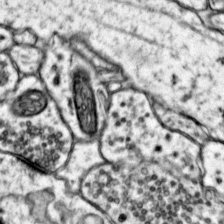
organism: Mouse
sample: Primary visual cortex